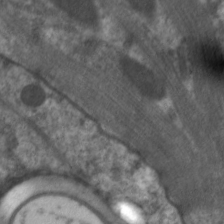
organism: C. elegans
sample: Pharynx